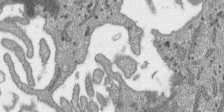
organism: Human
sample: Lung epithelial cells infected with SARS-CoV-2